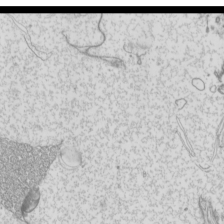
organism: Mouse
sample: Cilia; mouse epididymis